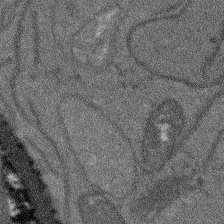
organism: Arabidopsis thaliana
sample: Root tip